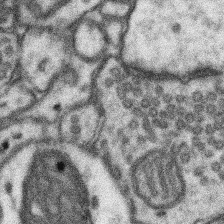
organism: Mouse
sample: Somatosensory cortex neuropil